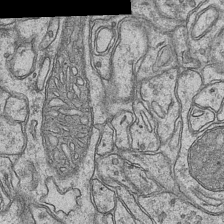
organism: Mouse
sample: CA1 Hippocampus